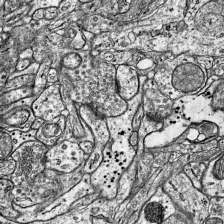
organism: Mouse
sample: Visual Cortex